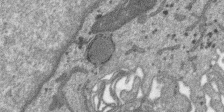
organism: Human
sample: Lung epithelial cells infected with SARS-CoV-2